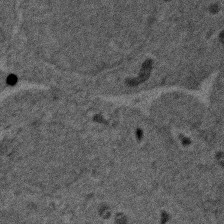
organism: Zebrafish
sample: Zebrafish embryo